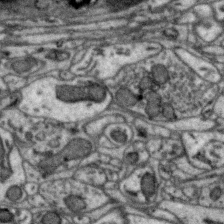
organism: Zebra finch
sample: Brain